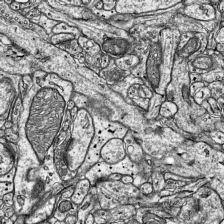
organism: Mouse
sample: Visual Cortex